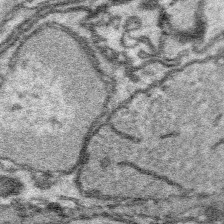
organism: Platynereis dumerilii